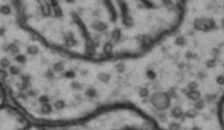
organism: Drosophila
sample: Brain